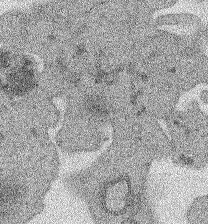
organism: Human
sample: HeLa cells